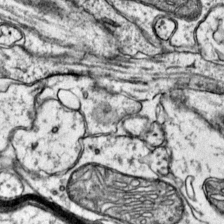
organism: Mouse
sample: Primary visual cortex